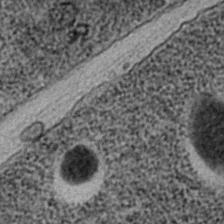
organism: C. elegans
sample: C. elegans embryo